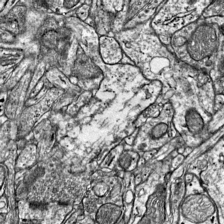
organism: Mouse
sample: Visual Cortex